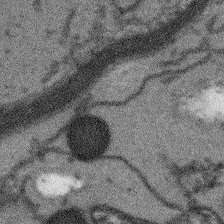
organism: Arabidopsis thaliana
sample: Root tip